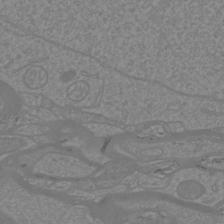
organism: Mouse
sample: Cortical neurons